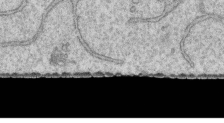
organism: Human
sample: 1205lu cells